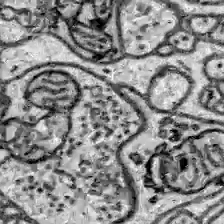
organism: Zebrafish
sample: Brain